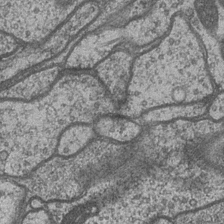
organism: Drosophila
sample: Optic medulla